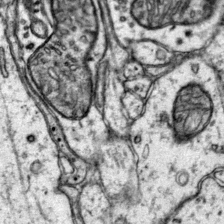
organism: Mouse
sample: Primary visual cortex